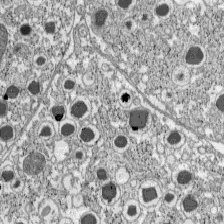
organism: C57BL Mouse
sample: Pancreatic islet